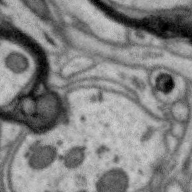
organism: Zebra finch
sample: Brain